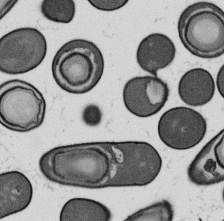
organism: B. subtilis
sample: Bacterial spore